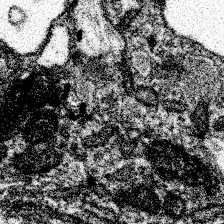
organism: Spongilla lacustris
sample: Neuroid cell